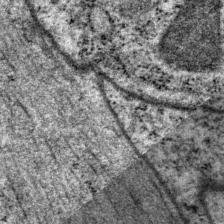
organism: P. pacificus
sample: Pharynx